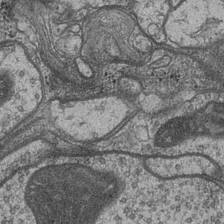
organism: Drosophila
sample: Optic medulla